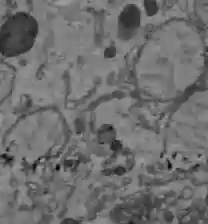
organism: C57BL Mouse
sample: Liver